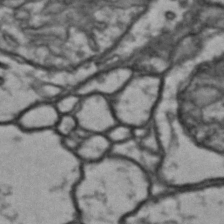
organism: Drosophila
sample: Brain